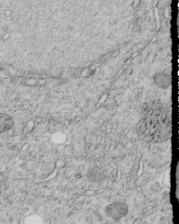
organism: C. elegans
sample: C. elegans embryo early stage